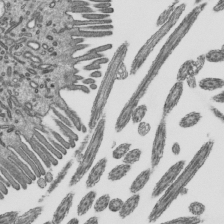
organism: Mouse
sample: Mouse epididymis efferent ductule cilia